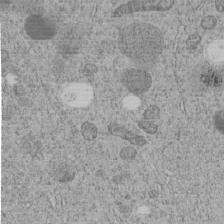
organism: C. elegans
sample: C. elegans embryo early stage